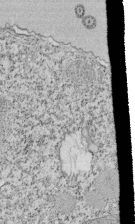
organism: Tetrahymena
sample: Cilia in tetrahymena